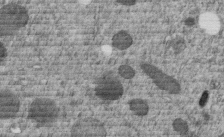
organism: C. elegans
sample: C. elegans embryo early stage